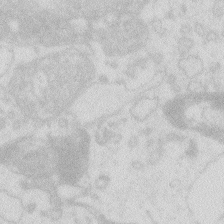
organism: Zebrafish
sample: Macrophage